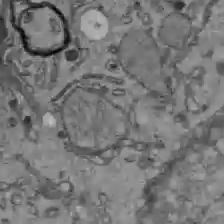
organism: C57BL Mouse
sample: Liver